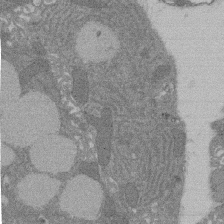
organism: Rat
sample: Salivary granule